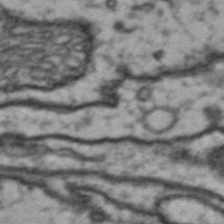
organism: Drosophila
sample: Brain